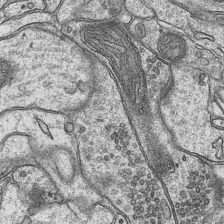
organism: Mouse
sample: CA1 Hippocampus